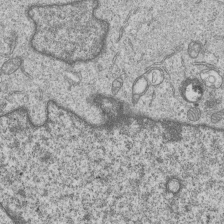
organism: Human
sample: MDA-MB-231 cells